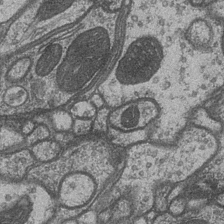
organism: Drosophila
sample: Optic medulla